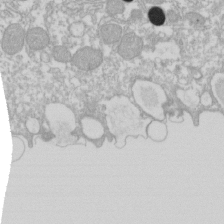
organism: Xenopus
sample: Cilia; centrioles in frog embryo cells